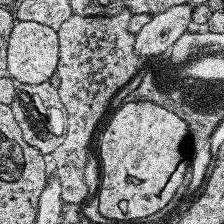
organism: Human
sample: Temporal Lobe